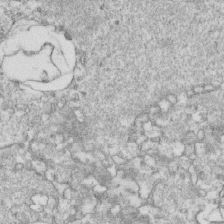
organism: Mouse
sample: Activated OT-1 CD8+ T cells